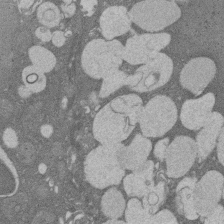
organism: Rat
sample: Salivary granule